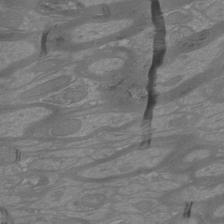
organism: Mouse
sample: Cortical neurons